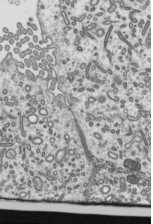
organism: Mouse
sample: Mouse epididymis efferent ductule cilia